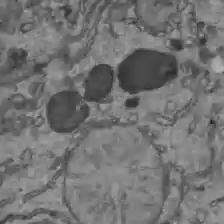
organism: C57BL Mouse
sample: Liver